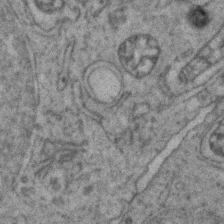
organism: Zebrafish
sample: Zebrafish embryo